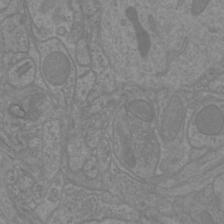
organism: Mouse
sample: Cortical neurons